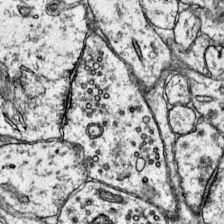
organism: Mouse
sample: Primary visual cortex